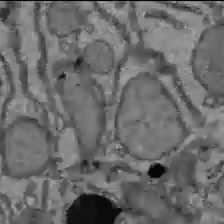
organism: C57BL Mouse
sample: Liver